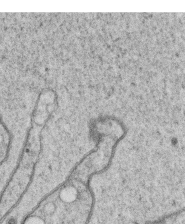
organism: C. elegans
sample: C. elegans oocyte; sperm cells